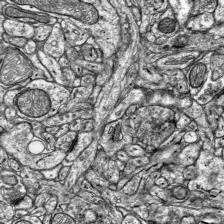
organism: Mouse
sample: Visual Cortex